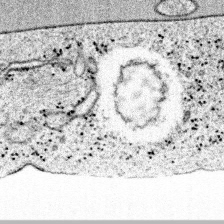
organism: Human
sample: HeLa cells